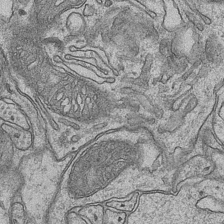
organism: Mouse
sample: CA1 Hippocampus